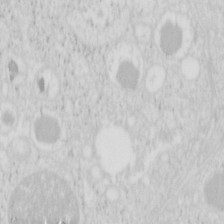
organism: Mouse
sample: Pancreas